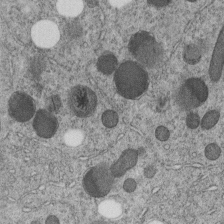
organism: C. elegans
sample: C. elegans embryo early stage